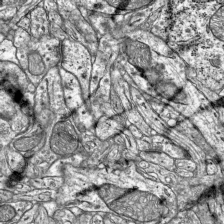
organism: Mouse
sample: Visual Cortex